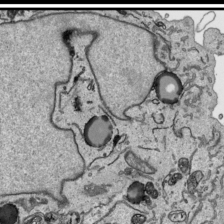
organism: Human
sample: Mitochondria in HCT116 cells